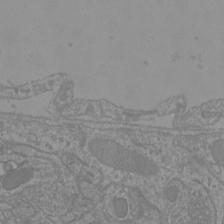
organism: Mouse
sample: Cortical neurons